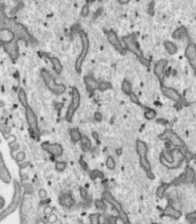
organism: Toxoplasma gondii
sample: Parasites in a vacuole inside a host cell